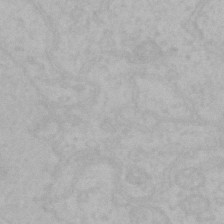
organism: Mouse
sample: Choroid plexus